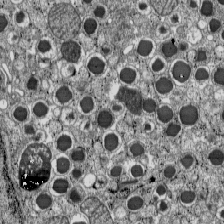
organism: C57BL Mouse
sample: Pancreatic islet